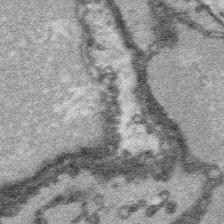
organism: Platynereis dumerilii